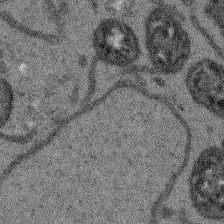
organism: Arabidopsis thaliana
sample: Root tip